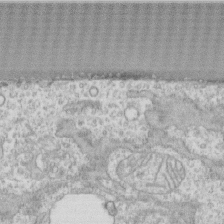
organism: Human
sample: CRL-1474